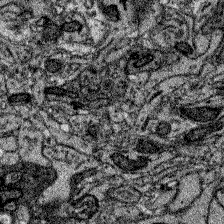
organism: Zebrafish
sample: Larval olfactory bulb